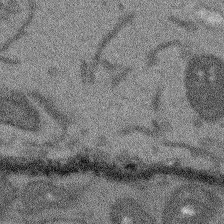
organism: Arabidopsis thaliana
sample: Root tip